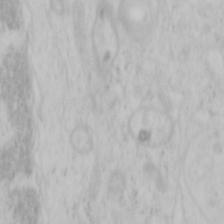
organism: Mouse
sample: OT-I killer T cells with ID8 ovarian cancer cells